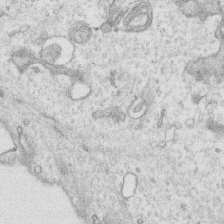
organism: Human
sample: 1205lu cells